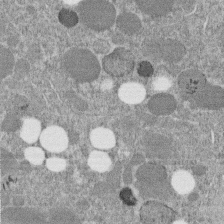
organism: C. elegans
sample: C. elegans embryo early stage